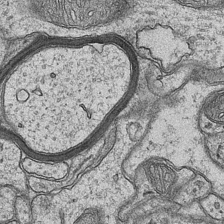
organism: Mouse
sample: CA1 Hippocampus